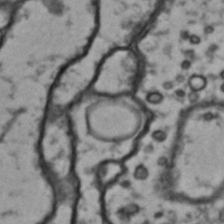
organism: Drosophila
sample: Brain